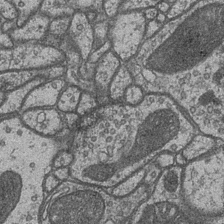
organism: Drosophila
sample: Optic medulla